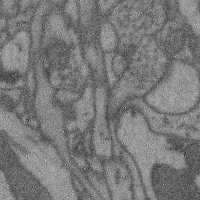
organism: Mouse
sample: Cerebral cortex